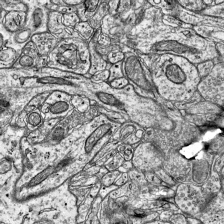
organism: Mouse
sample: Visual Cortex